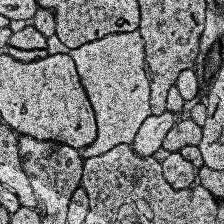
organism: Human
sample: Temporal Lobe